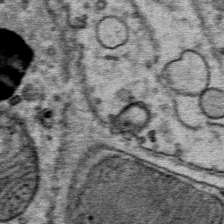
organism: Mouse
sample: Mouse Salivary gland